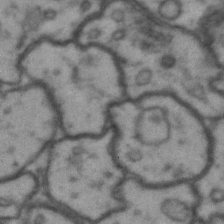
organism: Drosophila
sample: Brain